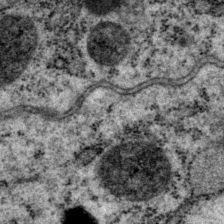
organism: P. pacificus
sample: Pharynx